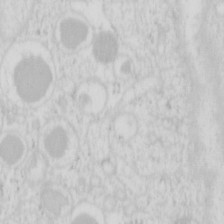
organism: Mouse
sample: Pancreas